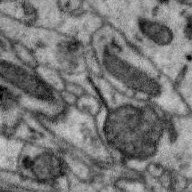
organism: Zebra finch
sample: Brain